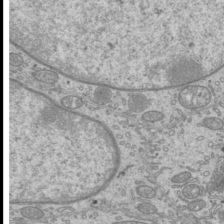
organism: Mouse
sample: Cilia; mouse epididymis